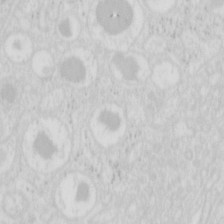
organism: Mouse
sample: Pancreas